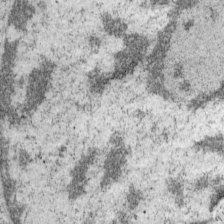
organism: Mouse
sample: OT-I killer T cells with ID8 ovarian cancer cells